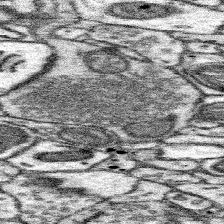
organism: Mouse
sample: Somatosensory cortex neuropil